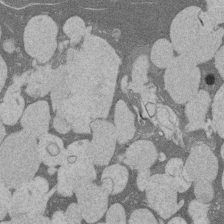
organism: Rat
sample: Salivary granule